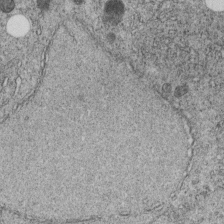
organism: C. elegans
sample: C. elegans embryo early stage